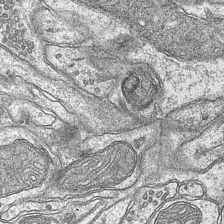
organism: Mouse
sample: CA1 Hippocampus